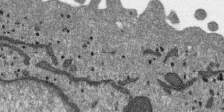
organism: Human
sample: Lung epithelial cells, uninfected (mock) control